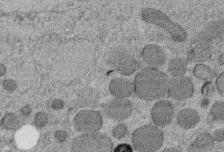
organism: C. elegans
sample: C. elegans embryo early stage